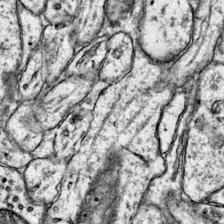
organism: Mouse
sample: Primary visual cortex